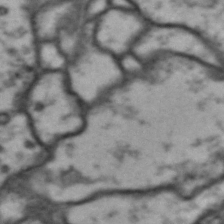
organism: Drosophila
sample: Brain